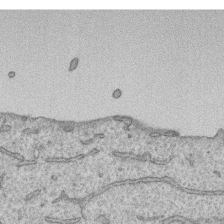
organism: Human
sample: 1205lu cells